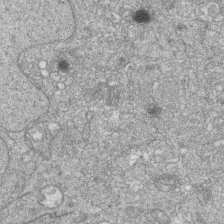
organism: Human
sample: HeLa cell HIV synapse